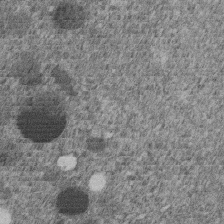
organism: C. elegans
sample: C. elegans embryo early stage